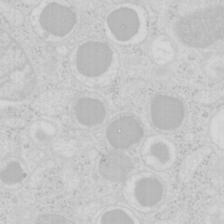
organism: Mouse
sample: Pancreas